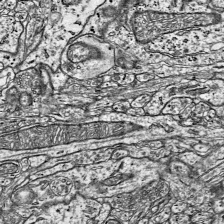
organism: Mouse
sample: Visual Cortex